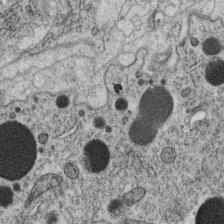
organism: C. elegans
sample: C. elegans oocyte; sperm cells